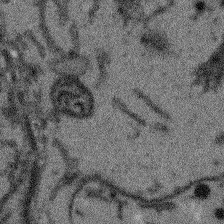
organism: Arabidopsis thaliana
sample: Root tip